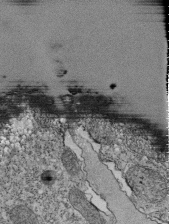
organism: Tetrahymena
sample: Cilia in tetrahymena